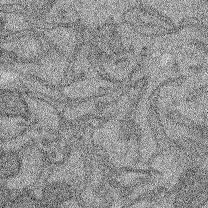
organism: Human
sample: HeLa cells